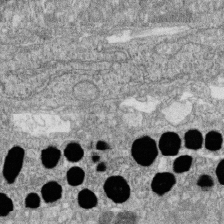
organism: Zebrafish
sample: Cilia; retinal pigment epithelium